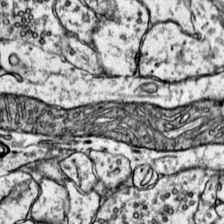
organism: Mouse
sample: Primary visual cortex